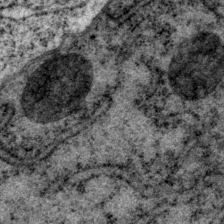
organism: P. pacificus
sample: Pharynx